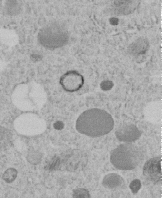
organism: C. elegans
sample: C. elegans embryo early stage